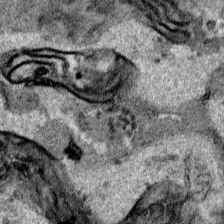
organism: Human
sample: Mitochondria in HCT116 cells